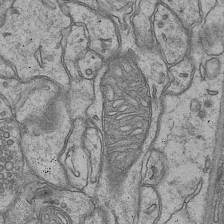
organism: Mouse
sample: CA1 Hippocampus